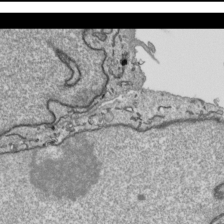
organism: Human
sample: Mitochondria in HCT116 cells